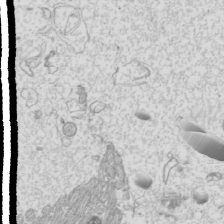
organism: Mouse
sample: Cilia; mouse epididymis